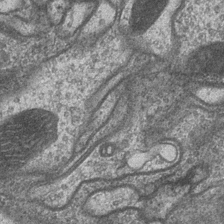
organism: Drosophila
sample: Optic medulla